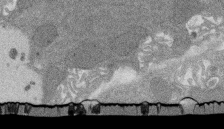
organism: Rat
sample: Salivary granule